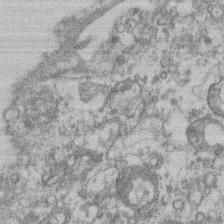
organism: Mouse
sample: T cell stromal cell synapse